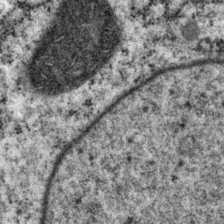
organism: P. pacificus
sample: Pharynx